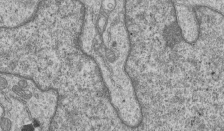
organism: Human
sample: MDA-MB-231 cells